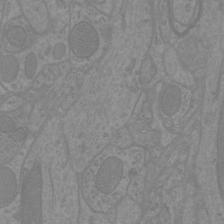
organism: Mouse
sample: Cortical neurons